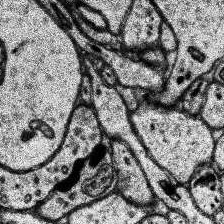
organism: Human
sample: Temporal Lobe